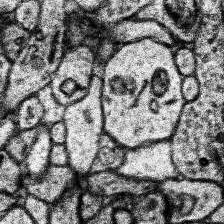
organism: Human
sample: Temporal Lobe